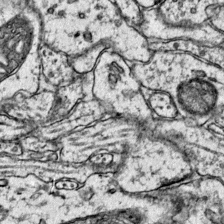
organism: Mouse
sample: Primary visual cortex